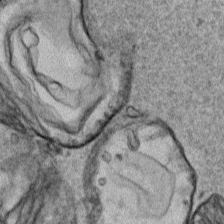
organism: Human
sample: Mitochondria in HCT116 cells